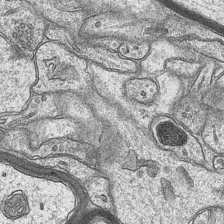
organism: Mouse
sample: CA1 Hippocampus